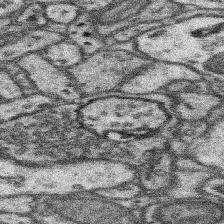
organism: Mouse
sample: Somatosensory cortex neuropil